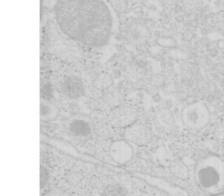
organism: Mouse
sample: Pancreas